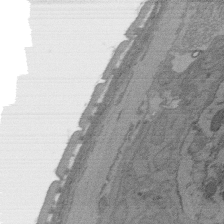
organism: C. elegans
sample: AFD neurons C. elegans